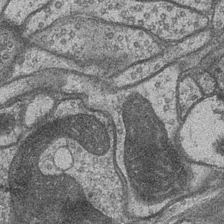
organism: Drosophila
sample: Optic medulla